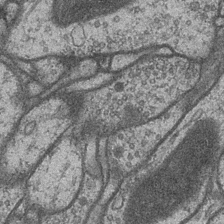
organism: Drosophila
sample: Optic medulla